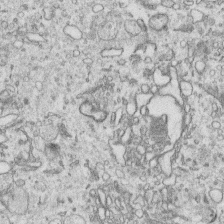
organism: Human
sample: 1205lu cells